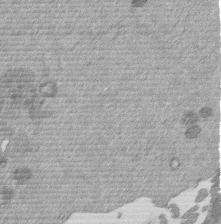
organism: Mouse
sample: Dividing mouse embryo 1 cell stage